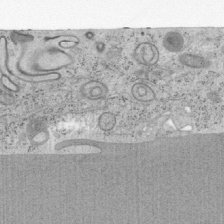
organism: Human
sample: HeLa cells